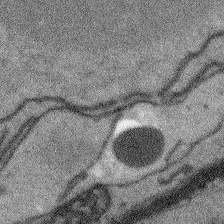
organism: Arabidopsis thaliana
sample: Root tip